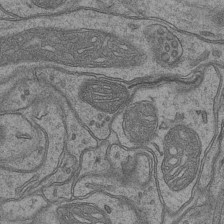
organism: Mouse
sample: CA1 Hippocampus